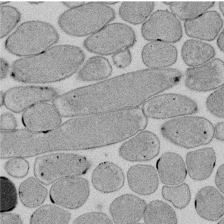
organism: E. coli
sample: Bacterial nucleoid